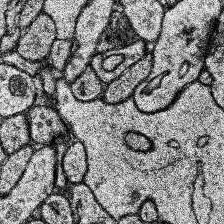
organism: Human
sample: Temporal Lobe